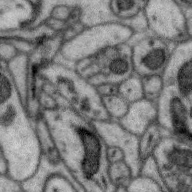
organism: Zebra finch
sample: Brain